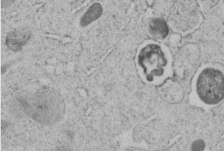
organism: C. elegans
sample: C. elegans embryo early stage